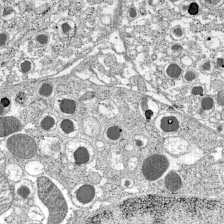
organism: C57BL Mouse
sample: Pancreatic islet